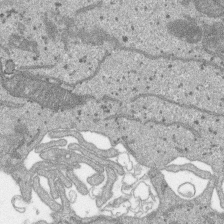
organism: Human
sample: Lung epithelial cells infected with SARS-CoV-2